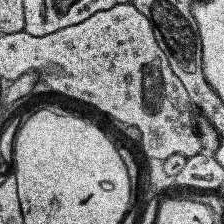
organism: Human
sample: Temporal Lobe